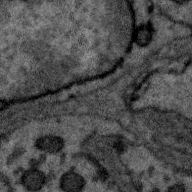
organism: Zebra finch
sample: Brain